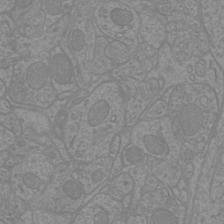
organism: Mouse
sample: Cortical neurons